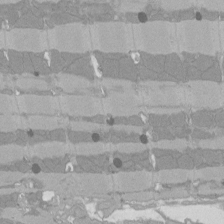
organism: Rat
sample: Left ventricle